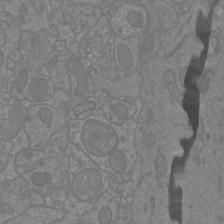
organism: Mouse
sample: Cortical neurons